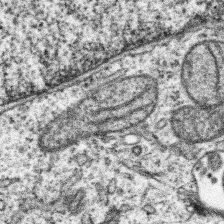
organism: Human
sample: HeLa cells